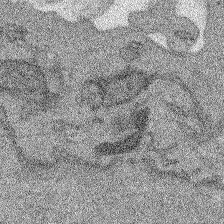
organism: Human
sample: HeLa cells